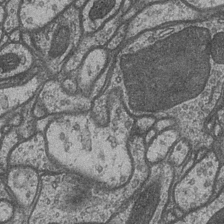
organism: Drosophila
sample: Optic medulla